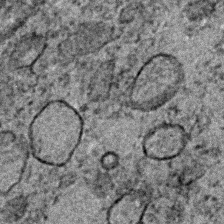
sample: Trachea